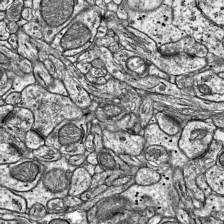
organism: Mouse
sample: Visual Cortex